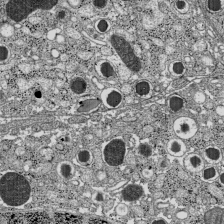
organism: C57BL Mouse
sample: Pancreatic islet